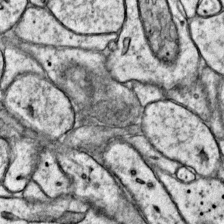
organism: Mouse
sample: Primary visual cortex